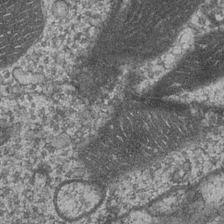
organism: Drosophila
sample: Optic medulla